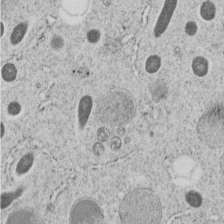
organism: C. elegans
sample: C. elegans embryo early stage